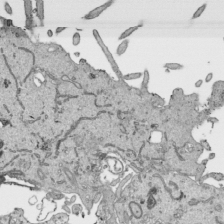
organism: Human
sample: Mitochondria in HCT116 cells